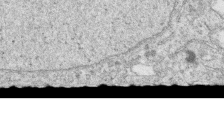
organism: Human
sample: HeLa cell HIV synapse